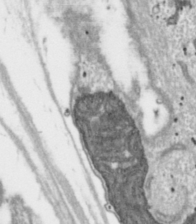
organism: Toxoplasma gondii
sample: Parasites in a vacuole inside a host cell